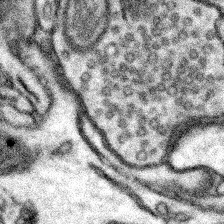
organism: Mouse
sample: Somatosensory cortex neuropil